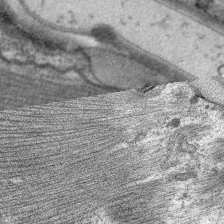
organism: C. elegans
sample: Pharynx